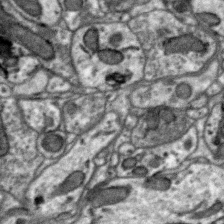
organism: Zebra finch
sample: Brain